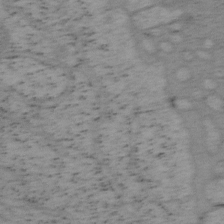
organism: Mouse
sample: OT-I killer T cells with ID8 ovarian cancer cells